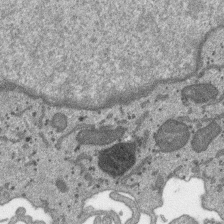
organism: Human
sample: Lung epithelial cells infected with SARS-CoV-2